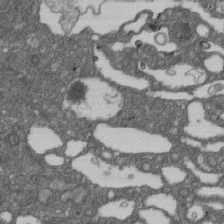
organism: Drosophila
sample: Nephrocyte